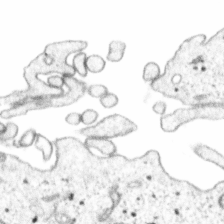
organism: Human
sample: HeLa cells